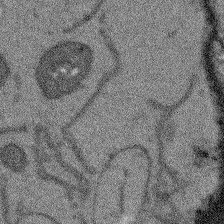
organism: Arabidopsis thaliana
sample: Root tip